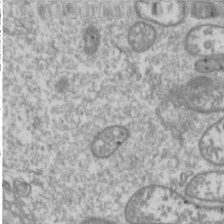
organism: Drosophila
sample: Cell division; meiosis; drosophila spermatocytes